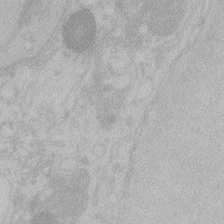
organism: Zebrafish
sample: Macrophage infected with Toxoplasma gondii